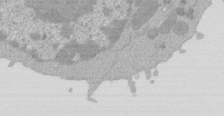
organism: Mouse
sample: Activated Pmel transgenic CD8+ T Cells